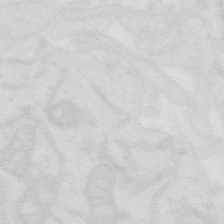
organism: Human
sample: HeLa cells